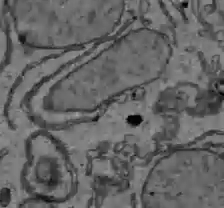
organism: C57BL Mouse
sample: Liver